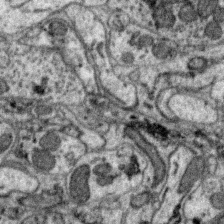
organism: Zebra finch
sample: Brain